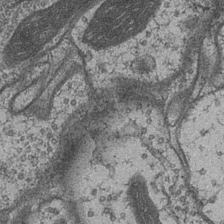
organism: Drosophila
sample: Optic medulla